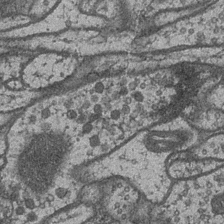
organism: Drosophila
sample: Optic medulla